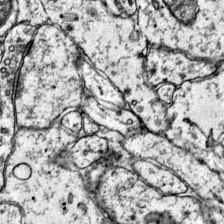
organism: Mouse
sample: Primary visual cortex